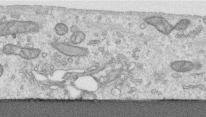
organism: Human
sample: Centriole in RPE cells